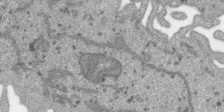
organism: Human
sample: Lung epithelial cells infected with SARS-CoV-2